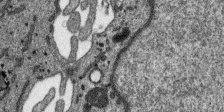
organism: Human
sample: Lung epithelial cells infected with SARS-CoV-2